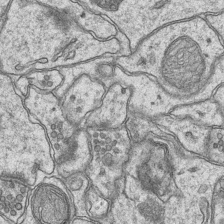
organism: Mouse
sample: CA1 Hippocampus